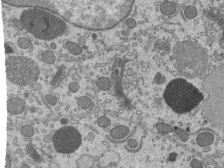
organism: Mouse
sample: Mouse epididymis efferent ductule cilia